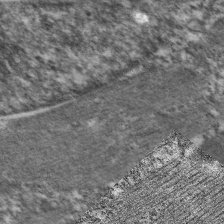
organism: C. elegans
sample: Pharynx